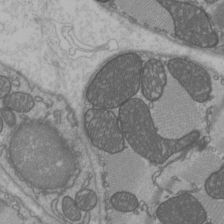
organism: C57BL Mouse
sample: Heart